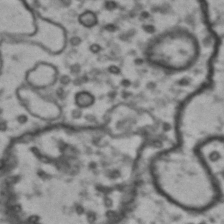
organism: Drosophila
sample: Brain